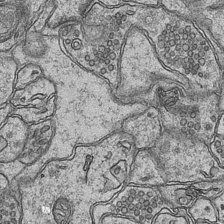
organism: Mouse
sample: CA1 Hippocampus